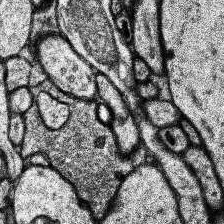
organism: Human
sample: Temporal Lobe